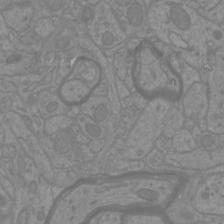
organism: Mouse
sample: Cortical neurons